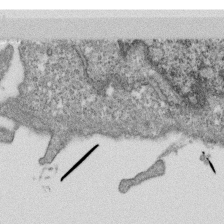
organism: African green monkey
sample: Vero E6 cells infected with SARS-CoV-2